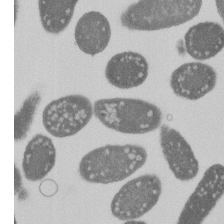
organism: E. coli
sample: Bacterial nucleoid